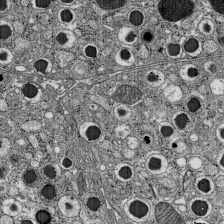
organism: C57BL Mouse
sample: Pancreatic islet